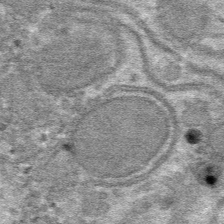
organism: Mouse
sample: Mouse hepatocytes